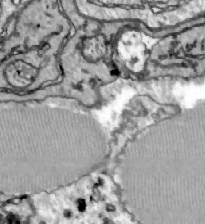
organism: Zebrafish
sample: Actinotrichia fibers